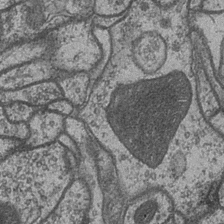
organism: Drosophila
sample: Optic medulla